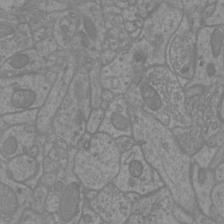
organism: Mouse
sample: Cortical neurons